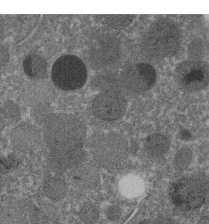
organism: C. elegans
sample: C. elegans embryo early stage